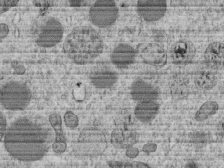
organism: C. elegans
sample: C. elegans embryo early stage